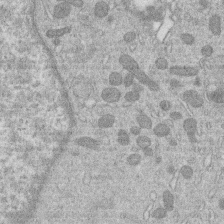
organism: Human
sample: Macrophage cells